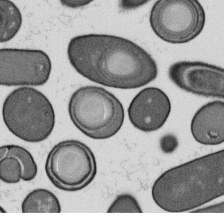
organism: B. subtilis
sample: Bacterial spore